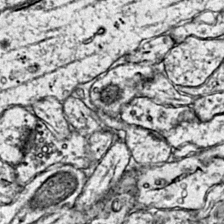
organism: Mouse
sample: Primary visual cortex